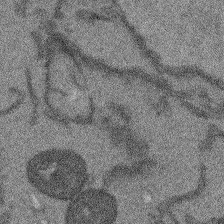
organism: Arabidopsis thaliana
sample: Root tip